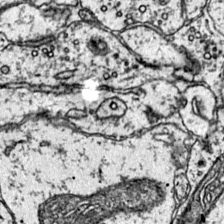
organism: Mouse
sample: Primary visual cortex